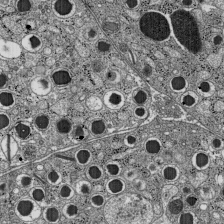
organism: C57BL Mouse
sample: Pancreatic islet